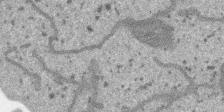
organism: Human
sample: Lung epithelial cells infected with SARS-CoV-2